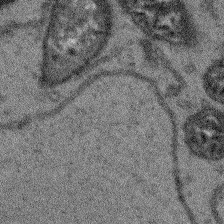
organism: Arabidopsis thaliana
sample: Root tip